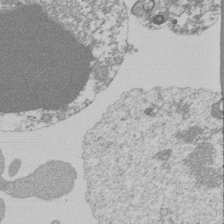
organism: Mouse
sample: Activated Pmel transgenic CD8+ T Cells